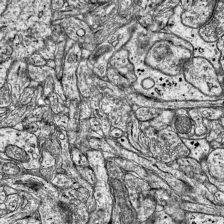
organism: Mouse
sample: Visual Cortex